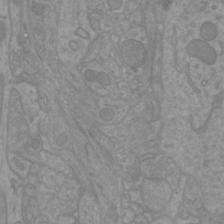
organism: Mouse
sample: Cortical neurons